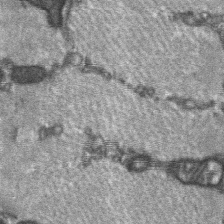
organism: C57BL Mouse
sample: Soleus